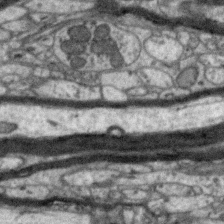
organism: Zebra finch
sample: Brain